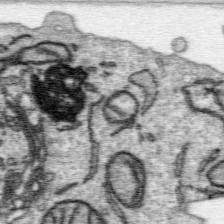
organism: Human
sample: HeLa cells